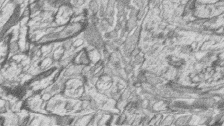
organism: Zebrafish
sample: synaptic ribbons in rod cells and cone cells